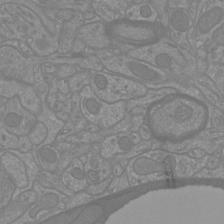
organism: Mouse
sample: Cortical neurons